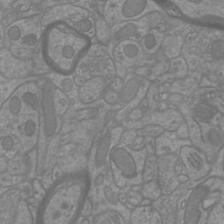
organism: Mouse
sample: Cortical neurons